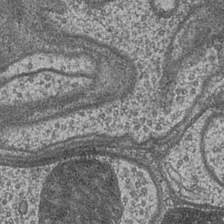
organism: Drosophila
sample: Optic medulla